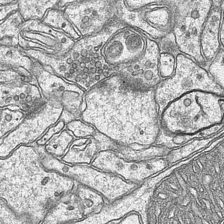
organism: Mouse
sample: CA1 Hippocampus